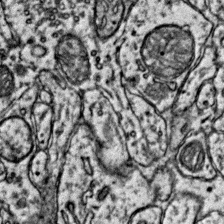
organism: Mouse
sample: Primary visual cortex